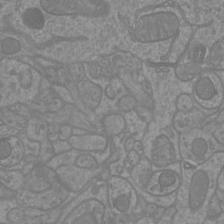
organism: Mouse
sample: Cortical neurons